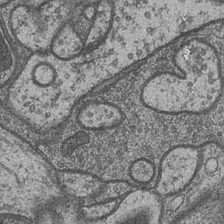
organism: Drosophila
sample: Optic medulla